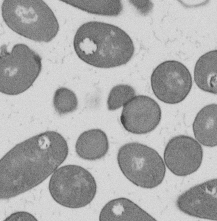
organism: B. subtilis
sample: Bacterial spore